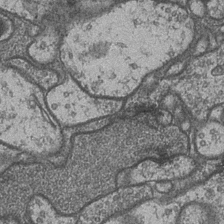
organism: Drosophila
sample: Optic medulla